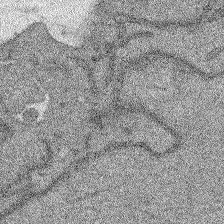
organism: Human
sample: HeLa cells